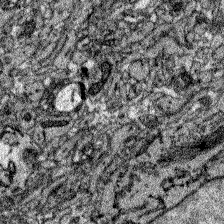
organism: Zebrafish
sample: Larval olfactory bulb